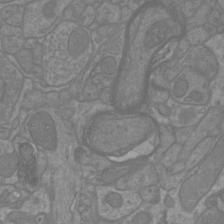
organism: Mouse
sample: Cortical neurons